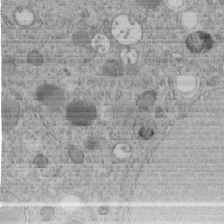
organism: C. elegans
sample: C. elegans embryo early stage